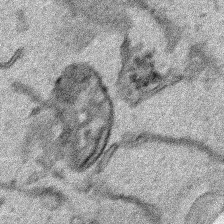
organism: Human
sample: Mitochondria in HCT116 cells